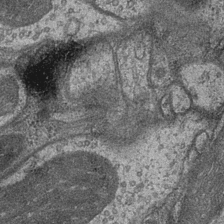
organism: Drosophila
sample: Optic medulla